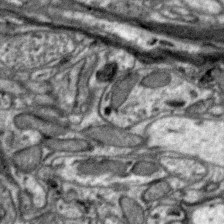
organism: Zebra finch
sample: Brain